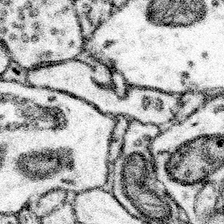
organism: Mouse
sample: Somatosensory cortex neuropil